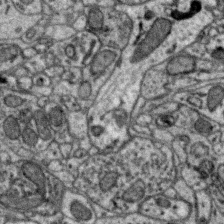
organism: Zebra finch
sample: Brain